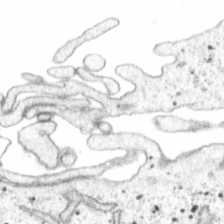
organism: Human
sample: HeLa cells